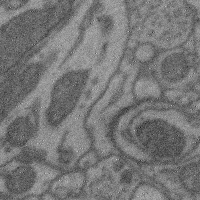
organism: Mouse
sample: Cerebral cortex